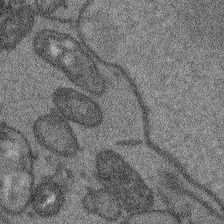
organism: Arabidopsis thaliana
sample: Root tip